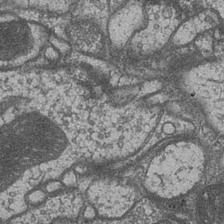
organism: Drosophila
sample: Optic medulla